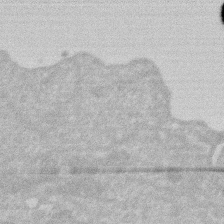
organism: Human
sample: HIV infected U937 cells